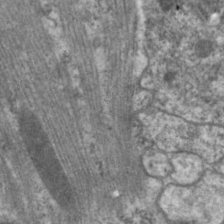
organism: C. elegans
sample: Pharynx